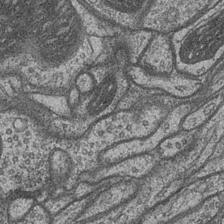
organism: Drosophila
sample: Optic medulla